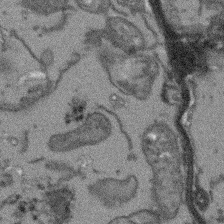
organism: Arabidopsis thaliana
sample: Root tip